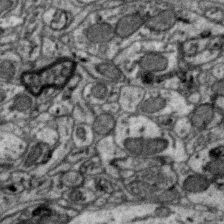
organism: Zebra finch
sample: Brain